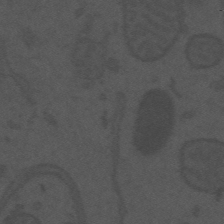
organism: Mouse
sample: Suprachiasmatic nucleus